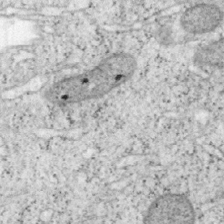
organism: Mouse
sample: OT-I killer T cells with ID8 ovarian cancer cells